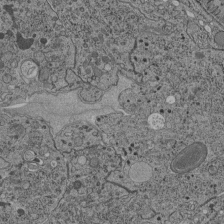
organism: C. elegans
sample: C. elegans pharynx